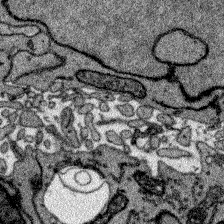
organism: Zebrafish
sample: Larval olfactory bulb